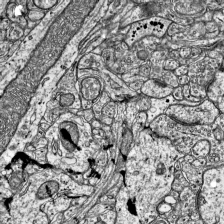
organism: Mouse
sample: Visual Cortex